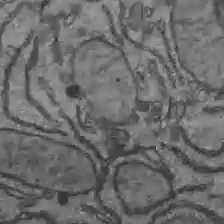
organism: C57BL Mouse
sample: Liver